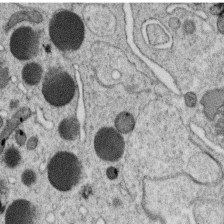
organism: C. elegans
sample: C. elegans oocyte; sperm cells